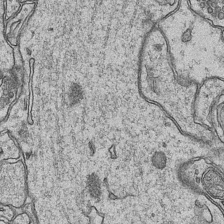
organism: Mouse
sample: CA1 Hippocampus